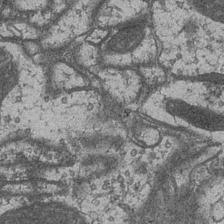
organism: Drosophila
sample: Optic medulla